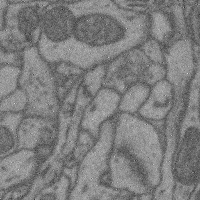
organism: Mouse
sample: Cerebral cortex